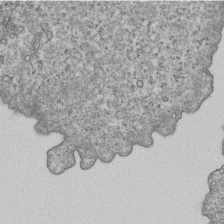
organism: Human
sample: MDA-MB-231 cells